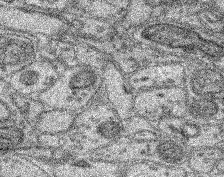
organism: Mouse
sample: Retina